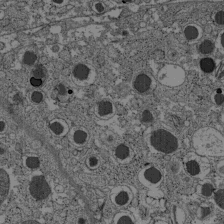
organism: C57BL Mouse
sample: Pancreatic islet